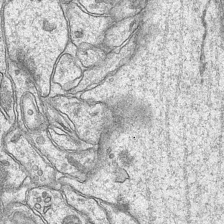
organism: Mouse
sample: CA1 Hippocampus